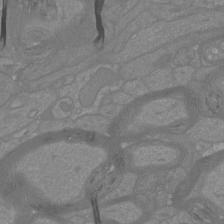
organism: Mouse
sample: Cortical neurons